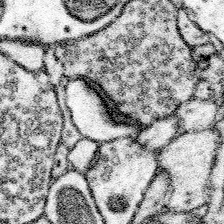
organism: Mouse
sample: Somatosensory cortex neuropil